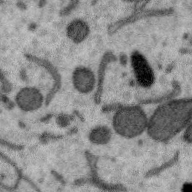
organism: Zebra finch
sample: Brain